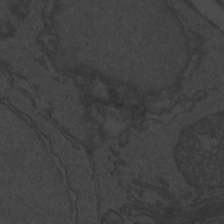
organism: Zebrafish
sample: Macrophage infected with Toxoplasma gondii